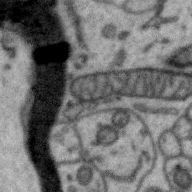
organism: Zebra finch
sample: Brain